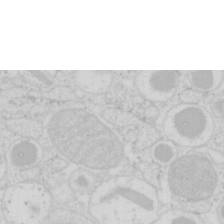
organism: Mouse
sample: Pancreas